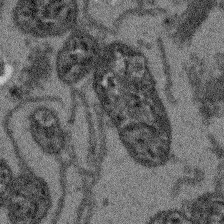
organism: Arabidopsis thaliana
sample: Root tip